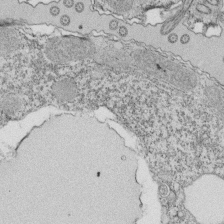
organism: Tetrahymena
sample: Cilia in tetrahymena